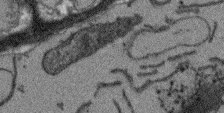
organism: Arabidopsis thaliana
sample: Root tip